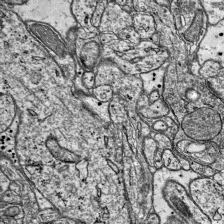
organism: Mouse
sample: Visual Cortex